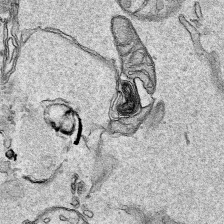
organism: Human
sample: Mitochondria in HCT116 cells